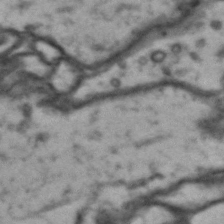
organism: Drosophila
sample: Brain